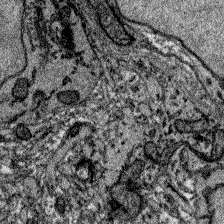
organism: Zebrafish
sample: Larval olfactory bulb